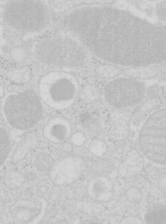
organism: Mouse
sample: Pancreas